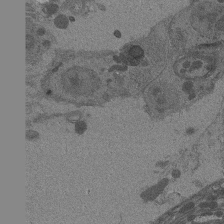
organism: Drosophila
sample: Antenna